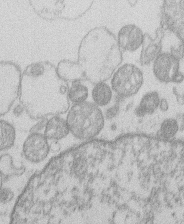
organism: Human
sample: Macrophage cells